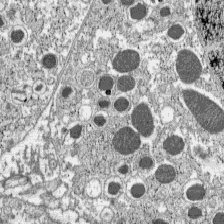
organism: C57BL Mouse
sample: Pancreatic islet